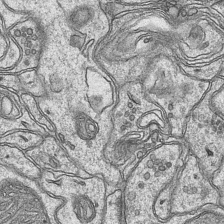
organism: Mouse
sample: CA1 Hippocampus